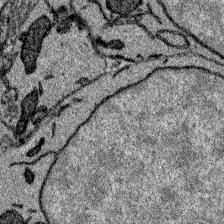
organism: Zebrafish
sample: Larval olfactory bulb